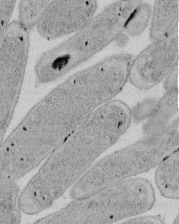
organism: E. coli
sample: Bacterial nucleoid